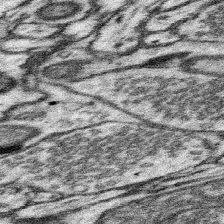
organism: Mouse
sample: Somatosensory cortex neuropil